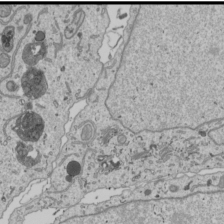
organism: Human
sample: Mitochondria in U2OS cells